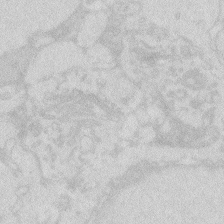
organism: Zebrafish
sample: Macrophage